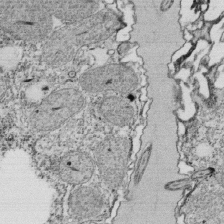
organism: Tetrahymena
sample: Cilia in tetrahymena